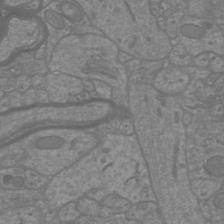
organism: Mouse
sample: Cortical neurons